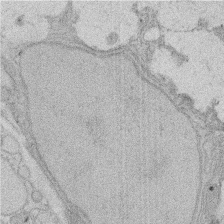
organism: Rat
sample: Salivary granule